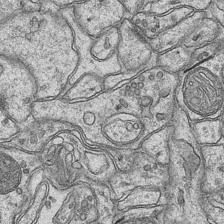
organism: Mouse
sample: CA1 Hippocampus